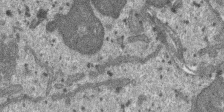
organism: Human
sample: Lung epithelial cells infected with SARS-CoV-2